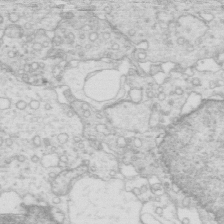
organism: Mouse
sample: Multiciliated cells